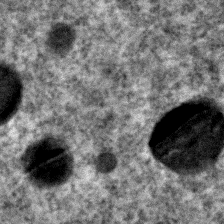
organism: C. elegans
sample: C. elegans embryo